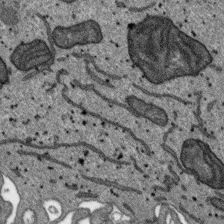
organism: Human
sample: Lung epithelial cells, uninfected (mock) control